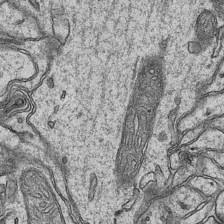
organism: Mouse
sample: CA1 Hippocampus